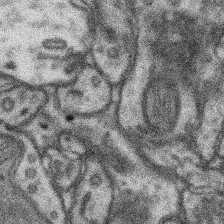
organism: Mouse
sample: Somatosensory cortex neuropil